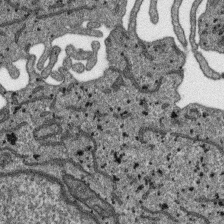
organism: Human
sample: Lung epithelial cells infected with SARS-CoV-2